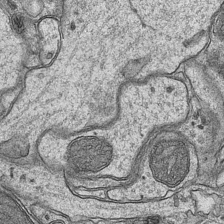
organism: Mouse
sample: CA1 Hippocampus